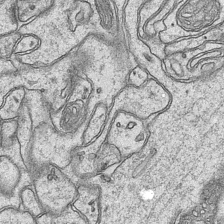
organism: Mouse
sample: CA1 Hippocampus